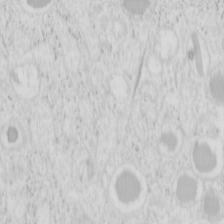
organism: Mouse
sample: Pancreas